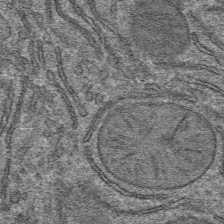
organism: Mouse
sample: Mouse hepatocytes